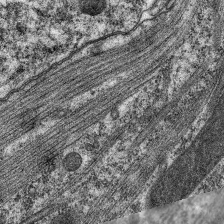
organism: C. elegans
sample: Pharynx